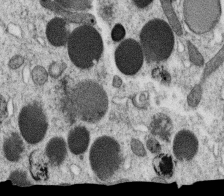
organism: C. elegans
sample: C. elegans oocyte; sperm cells